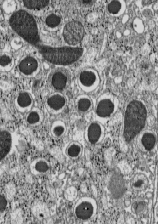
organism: C57BL Mouse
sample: Pancreatic islet